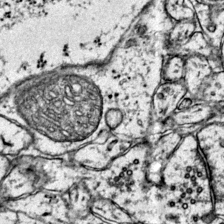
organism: Mouse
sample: Primary visual cortex